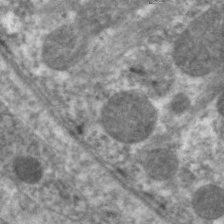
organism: C. elegans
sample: Pharynx